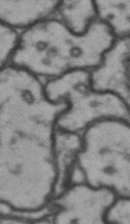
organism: Drosophila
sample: Brain